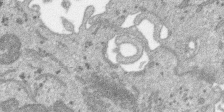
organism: Human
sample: Lung epithelial cells infected with SARS-CoV-2